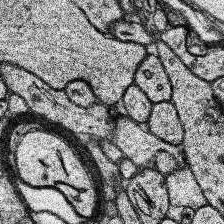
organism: Human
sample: Temporal Lobe